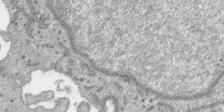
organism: Human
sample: Lung epithelial cells infected with SARS-CoV-2